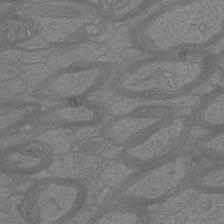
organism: Mouse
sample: Cortical neurons